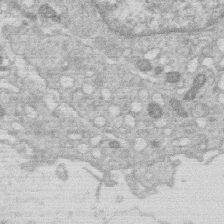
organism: Human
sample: Macrophage cells